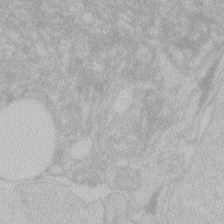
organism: Zebrafish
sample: Macrophage infected with Toxoplasma gondii